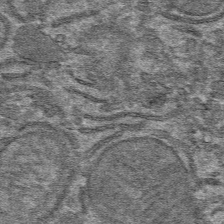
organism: Mouse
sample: Mouse hepatocytes